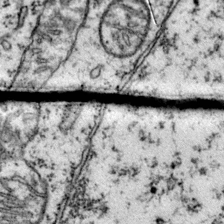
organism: Mouse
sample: Primary visual cortex